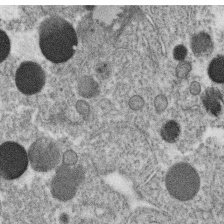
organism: C. elegans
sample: C. elegans oocyte; sperm cells